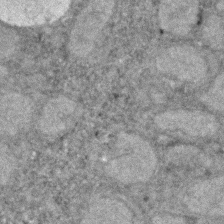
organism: Zebrafish